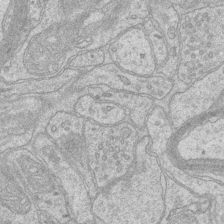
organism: Mouse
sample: CA1 Hippocampus